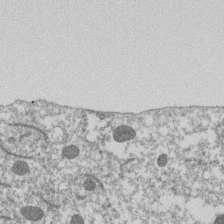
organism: Dictyostelium discoideum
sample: Dictyostelium multivesicular bodies